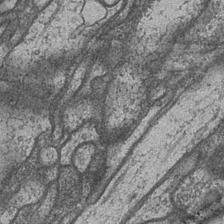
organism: Drosophila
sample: Optic medulla